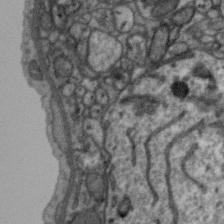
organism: Zebra finch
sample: Brain